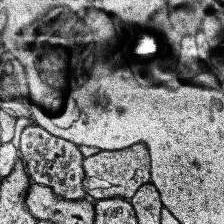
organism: Human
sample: Temporal Lobe